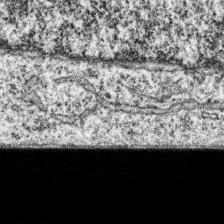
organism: Human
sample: HeLa cells